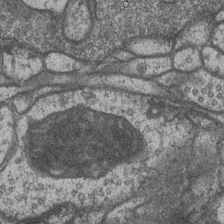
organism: Drosophila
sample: Optic medulla